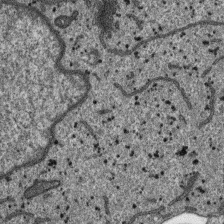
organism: Human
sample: Lung epithelial cells infected with SARS-CoV-2